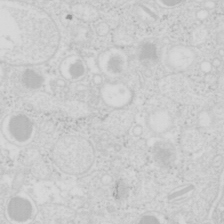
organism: Mouse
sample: Pancreas